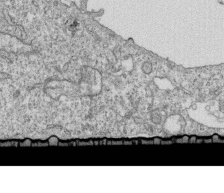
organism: Human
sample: HeLa cell HIV synapse